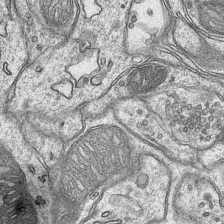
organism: Mouse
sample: CA1 Hippocampus